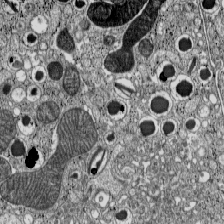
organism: C57BL Mouse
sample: Pancreatic islet